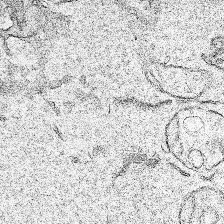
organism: Human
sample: Mitochondria in HCT116 cells